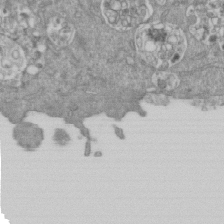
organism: Mouse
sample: ED-1 cell nuclei; centrioles